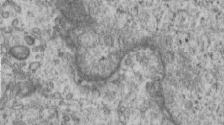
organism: Human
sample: Centriole in RPE cells